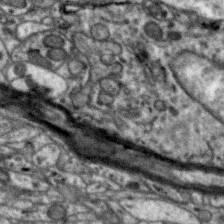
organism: Zebra finch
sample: Brain